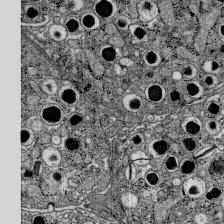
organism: C57BL Mouse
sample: Pancreatic islet